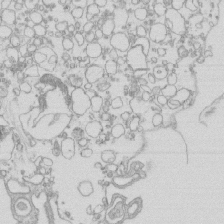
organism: Mouse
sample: Macrophages